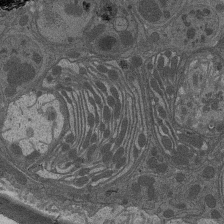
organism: Drosophila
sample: Antenna